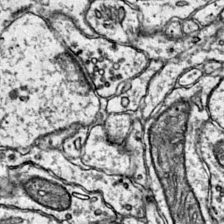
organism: Mouse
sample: Primary visual cortex